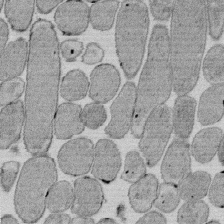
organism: E. coli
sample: Bacterial nucleoid